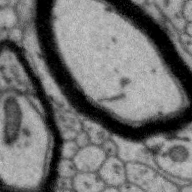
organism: Zebra finch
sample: Brain